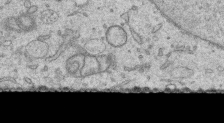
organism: Human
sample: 1205lu cells